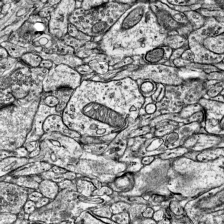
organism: Mouse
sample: Visual Cortex